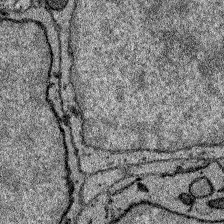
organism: Zebrafish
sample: Larval olfactory bulb